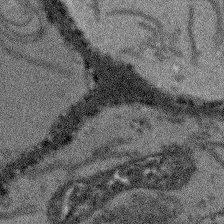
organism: Arabidopsis thaliana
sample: Root tip